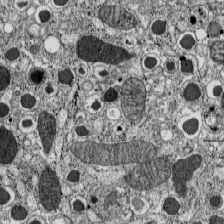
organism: C57BL Mouse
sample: Pancreatic islet